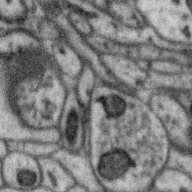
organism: Zebra finch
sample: Brain